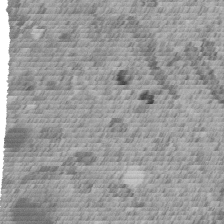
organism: C. elegans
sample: C. elegans embryo early stage